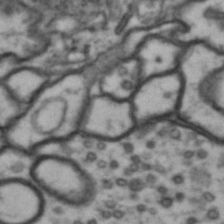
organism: Drosophila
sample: Brain